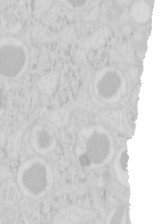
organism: Mouse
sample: Pancreas